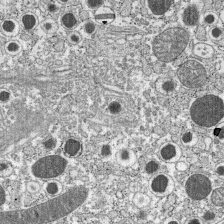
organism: C57BL Mouse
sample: Pancreatic islet